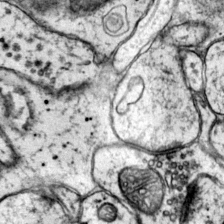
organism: Mouse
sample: Primary visual cortex